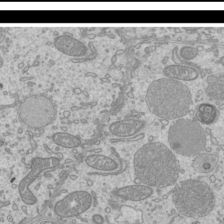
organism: Mouse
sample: Cilia; mouse epididymis